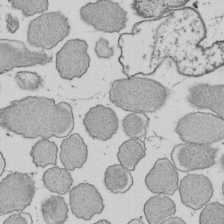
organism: E. coli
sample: Bacterial nucleoid